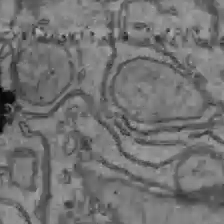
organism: C57BL Mouse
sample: Liver